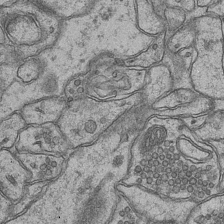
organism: Mouse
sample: CA1 Hippocampus